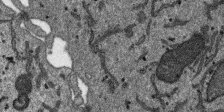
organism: Human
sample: Lung epithelial cells infected with SARS-CoV-2